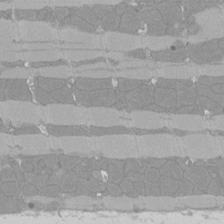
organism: Rat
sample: Left ventricle